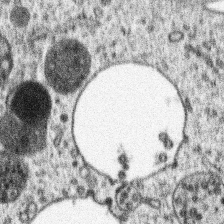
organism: Human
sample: HeLa cells